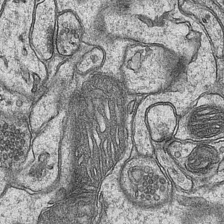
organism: Mouse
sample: CA1 Hippocampus